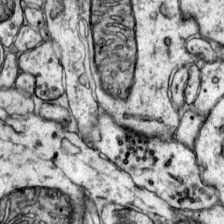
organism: Mouse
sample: Primary visual cortex